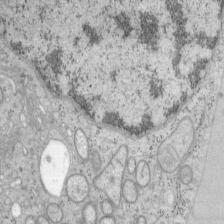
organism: Mouse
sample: OT-I killer T cells with ID8 ovarian cancer cells